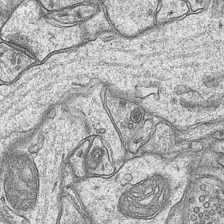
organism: Mouse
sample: CA1 Hippocampus